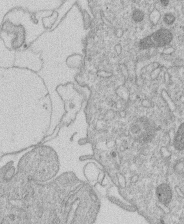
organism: Human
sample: Macrophage cells